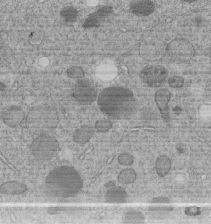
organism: C. elegans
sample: C. elegans embryo early stage